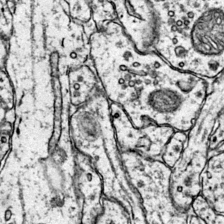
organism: Mouse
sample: Primary visual cortex